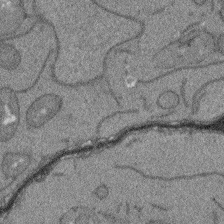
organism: Arabidopsis thaliana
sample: Root tip